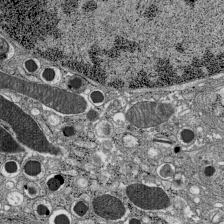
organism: C57BL Mouse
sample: Pancreatic islet